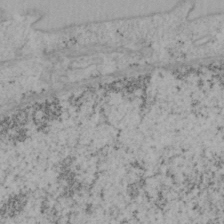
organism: Human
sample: HeLa cells